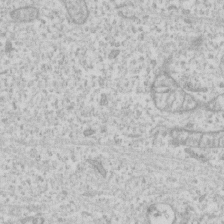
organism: Human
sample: Fibroblast cells